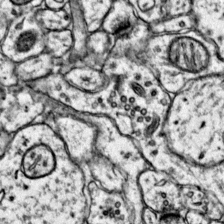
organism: Mouse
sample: Primary visual cortex